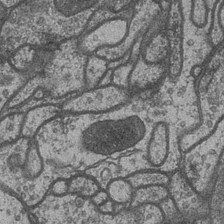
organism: Drosophila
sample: Optic medulla